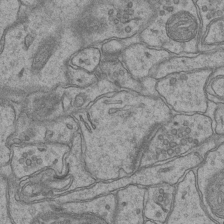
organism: Mouse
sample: CA1 Hippocampus